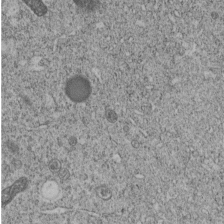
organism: C. elegans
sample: C. elegans embryo early stage